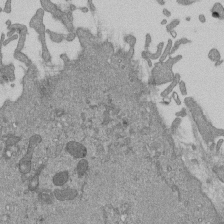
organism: Mouse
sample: ED-1 cell nuclei; centrioles